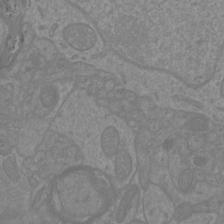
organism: Mouse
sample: Cortical neurons